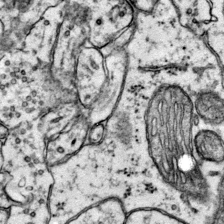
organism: Mouse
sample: Primary visual cortex